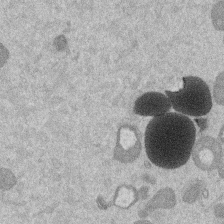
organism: Mouse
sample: Dividing mouse embryo 1 cell stage